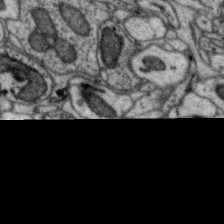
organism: Zebra finch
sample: Brain